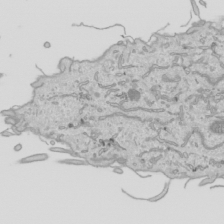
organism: Human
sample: Mitochondria in HCT116 cells